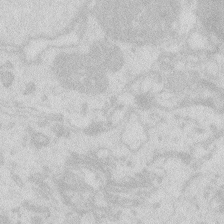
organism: Zebrafish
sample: Macrophage